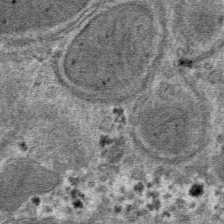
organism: Mouse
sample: Mouse hepatocytes